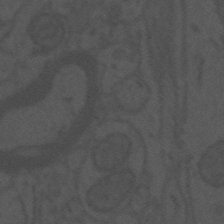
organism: Mouse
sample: Suprachiasmatic nucleus